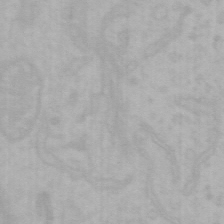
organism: Mouse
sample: Choroid plexus